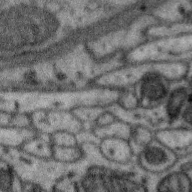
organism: Zebra finch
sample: Brain